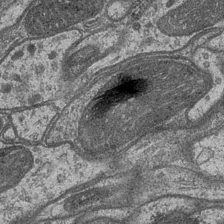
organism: Drosophila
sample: Optic medulla